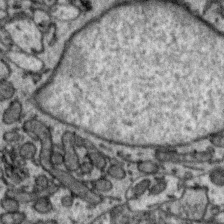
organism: Zebra finch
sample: Brain